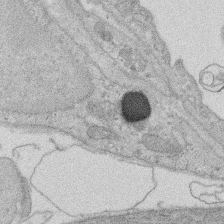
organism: Rat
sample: Salivary granule